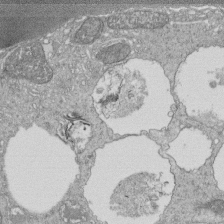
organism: Tetrahymena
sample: Cilia in tetrahymena